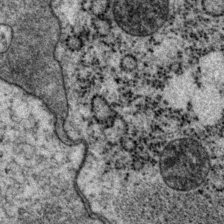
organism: P. pacificus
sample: Pharynx